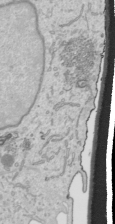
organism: Human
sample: Mitochondria in HCT116 cells